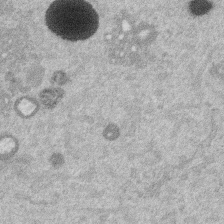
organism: Mouse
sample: Dividing mouse embryo 1 cell stage